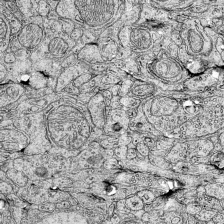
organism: Mouse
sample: Visual Cortex